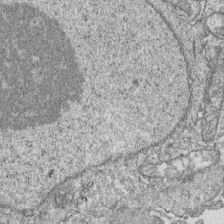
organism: Human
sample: HeLa cell HIV synapse